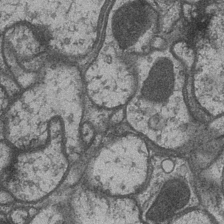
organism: Drosophila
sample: Optic medulla